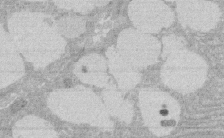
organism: Rat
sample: Salivary granule